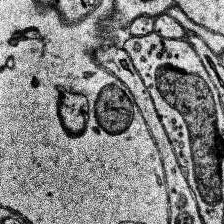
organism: Human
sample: Temporal Lobe